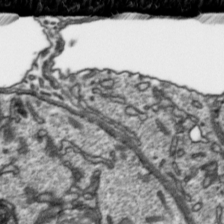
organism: Toxoplasma gondii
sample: Parasites in a vacuole inside a host cell